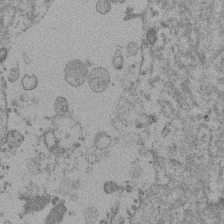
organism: Mouse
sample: Dividing mouse embryo 1 cell stage